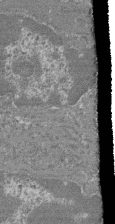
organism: Mouse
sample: Glomerulus